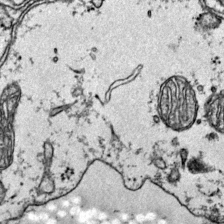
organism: Mouse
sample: Primary visual cortex